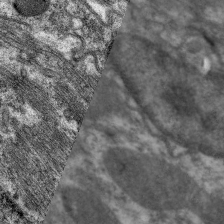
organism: C. elegans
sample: Pharynx